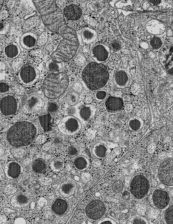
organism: C57BL Mouse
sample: Pancreatic islet